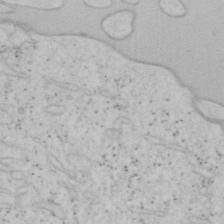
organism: Human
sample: HeLa cells